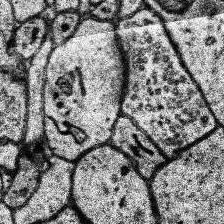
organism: Human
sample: Temporal Lobe